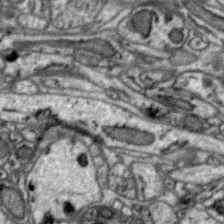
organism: Zebra finch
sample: Brain